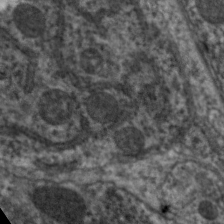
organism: C. elegans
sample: Pharynx